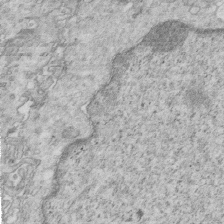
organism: Mouse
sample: Multiciliated cells